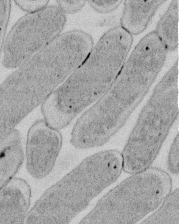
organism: E. coli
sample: Bacterial nucleoid